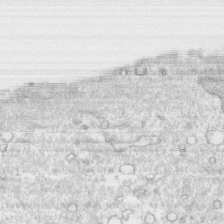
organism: Human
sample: CRL-1474